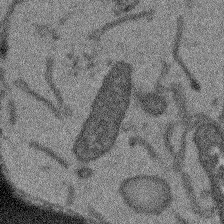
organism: Arabidopsis thaliana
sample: Root tip